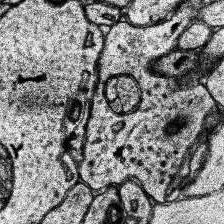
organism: Human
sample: Temporal Lobe